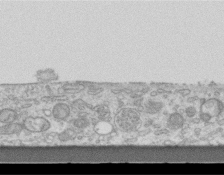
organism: Mouse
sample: Centriole in ependymal cells